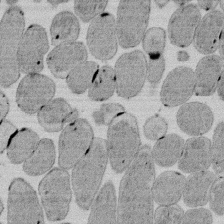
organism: E. coli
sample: Bacterial nucleoid